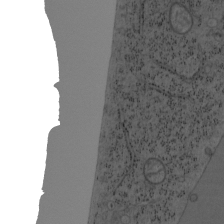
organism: Mouse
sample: OT-I killer T cells with ID8 ovarian cancer cells